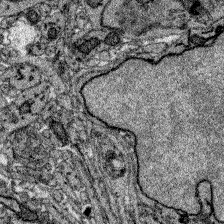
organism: Zebrafish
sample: Larval olfactory bulb